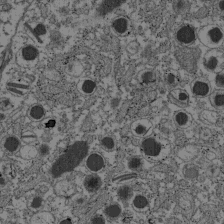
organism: C57BL Mouse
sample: Pancreatic islet